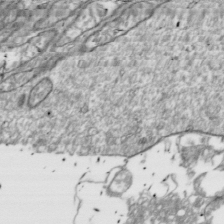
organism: Drosophila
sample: Cell division; meiosis; drosophila spermatocytes